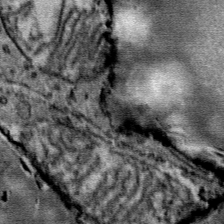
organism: Mouse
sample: Mouse Salivary gland